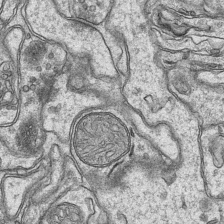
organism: Mouse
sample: CA1 Hippocampus